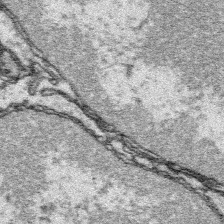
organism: Platynereis dumerilii